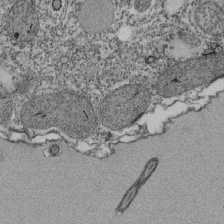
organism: Tetrahymena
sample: Cilia in tetrahymena